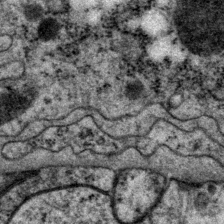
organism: P. pacificus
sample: Pharynx